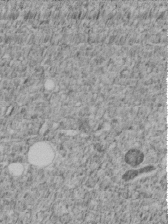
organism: C. elegans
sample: C. elegans embryo early stage